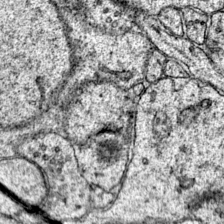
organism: Mouse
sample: Primary visual cortex